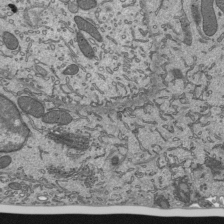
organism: Mouse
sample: Mouse epididymis efferent ductule cilia